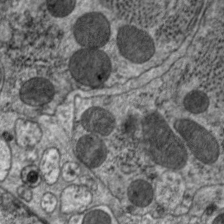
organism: C. elegans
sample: Pharynx